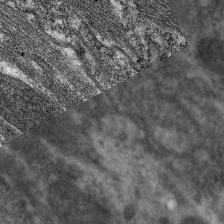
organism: C. elegans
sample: Pharynx